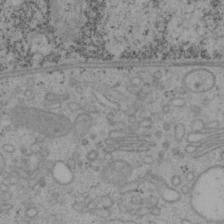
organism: Human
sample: HeLa cells